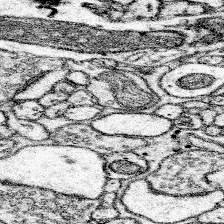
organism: Mouse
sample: Somatosensory cortex neuropil